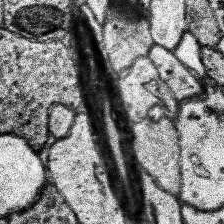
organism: Human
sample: Temporal Lobe